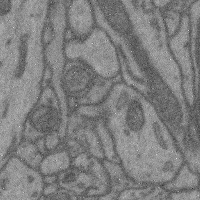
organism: Mouse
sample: Cerebral cortex